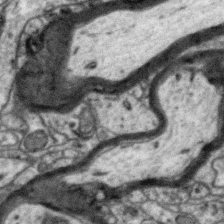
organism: Zebra finch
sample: Brain